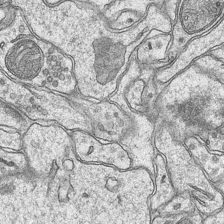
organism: Mouse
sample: CA1 Hippocampus